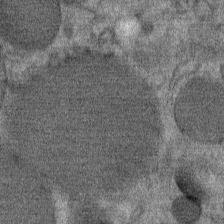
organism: Mouse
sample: Mouse Salivary gland